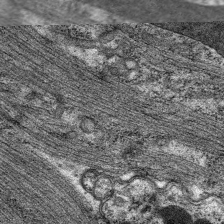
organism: C. elegans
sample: Pharynx